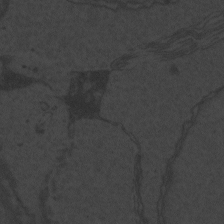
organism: Zebrafish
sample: Macrophage infected with Toxoplasma gondii